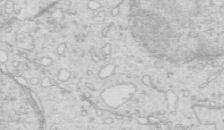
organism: Mouse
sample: Multiciliated cells